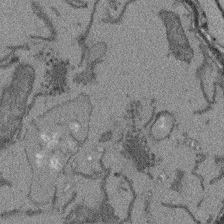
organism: Arabidopsis thaliana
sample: Root tip